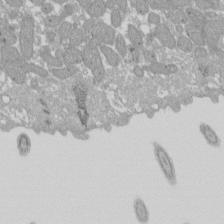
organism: Xenopus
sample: Cilia; centrioles in frog embryo cells